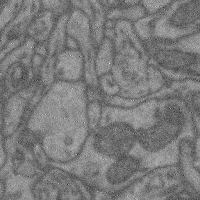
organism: Mouse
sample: Cerebral cortex